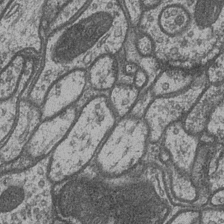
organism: Drosophila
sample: Optic medulla